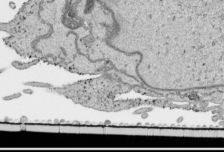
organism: Human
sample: Mitochondria in HCT116 cells